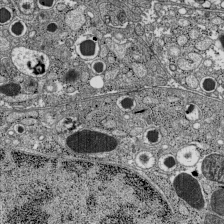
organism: C57BL Mouse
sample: Pancreatic islet